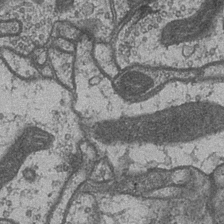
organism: Drosophila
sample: Optic medulla